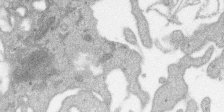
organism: Human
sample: Lung epithelial cells infected with SARS-CoV-2